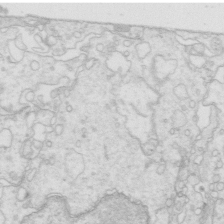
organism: Mouse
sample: Multiciliated cells